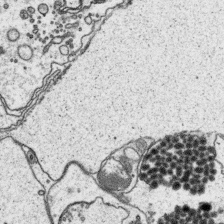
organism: Platynereis dumerilii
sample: Parapodia